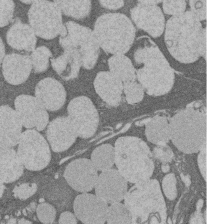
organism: Rat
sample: Salivary granule